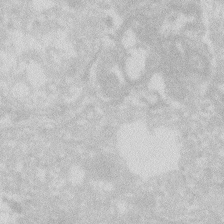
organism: Zebrafish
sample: Macrophage